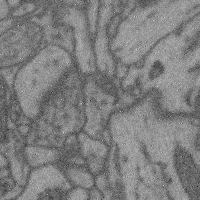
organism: Mouse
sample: Cerebral cortex